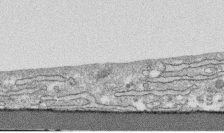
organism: Human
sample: CRL-1474